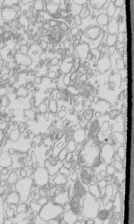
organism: Mouse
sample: Macrophages